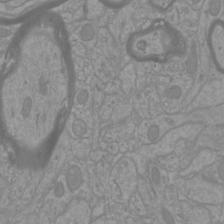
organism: Mouse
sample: Cortical neurons